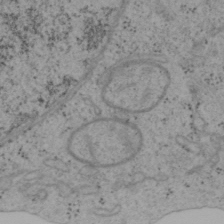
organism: Human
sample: HeLa cells